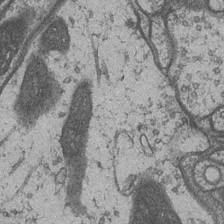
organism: Drosophila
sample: Optic medulla